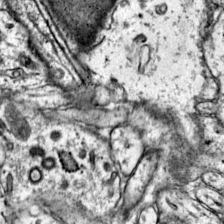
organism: Mouse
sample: Primary visual cortex